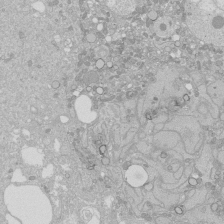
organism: Human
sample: Caco-2 cells